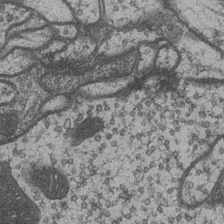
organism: Drosophila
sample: Optic medulla